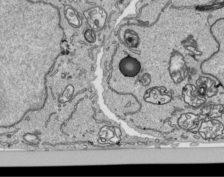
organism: Human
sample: Mitochondria in HCT116 cells